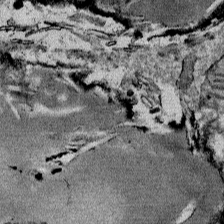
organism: Mouse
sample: Mouse Salivary gland